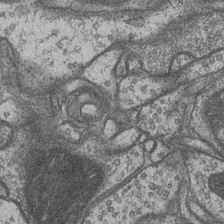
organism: Drosophila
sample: Optic medulla